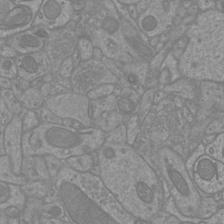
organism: Mouse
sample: Cortical neurons